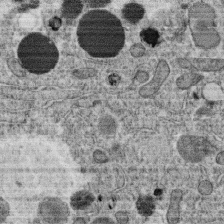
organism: C. elegans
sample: C. elegans oocyte; sperm cells